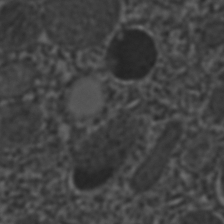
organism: C. elegans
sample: C. elegans embryo